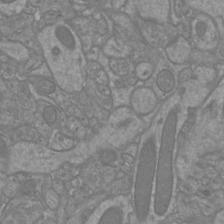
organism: Mouse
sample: Cortical neurons